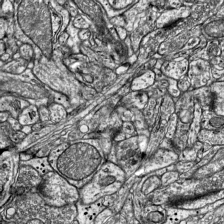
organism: Mouse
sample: Visual Cortex